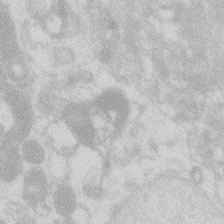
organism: Zebrafish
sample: Macrophage